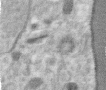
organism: Human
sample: Centriole in RPE cells